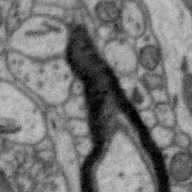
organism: Zebra finch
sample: Brain